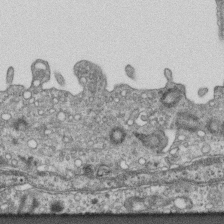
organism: Mouse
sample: Centriole in ependymal cells